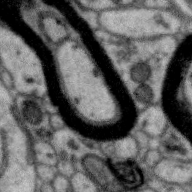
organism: Zebra finch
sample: Brain